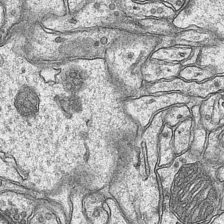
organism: Mouse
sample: CA1 Hippocampus